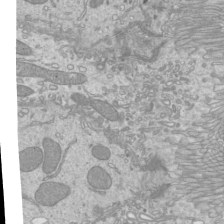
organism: Mouse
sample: Cilia; mouse epididymis